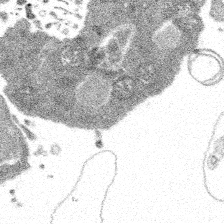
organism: Spongilla lacustris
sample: Multiple